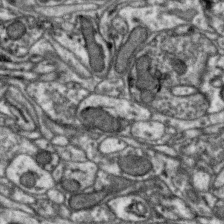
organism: Zebra finch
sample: Brain